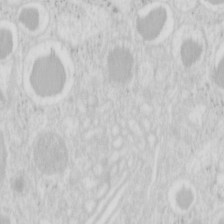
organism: Mouse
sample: Pancreas